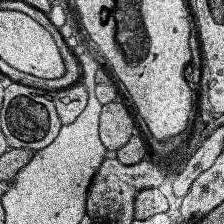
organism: Human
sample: Temporal Lobe